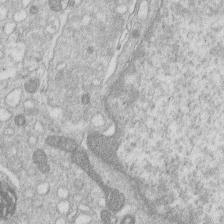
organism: Human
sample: Macrophage cells